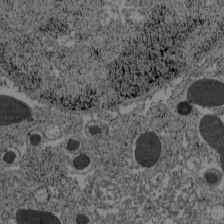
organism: C57BL Mouse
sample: Pancreatic islet